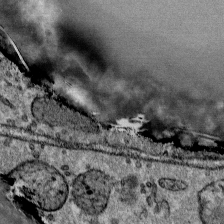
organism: Mouse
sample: Mouse Salivary gland